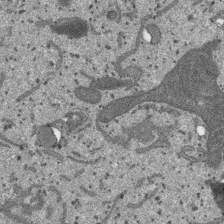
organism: Human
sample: Lung epithelial cells infected with SARS-CoV-2